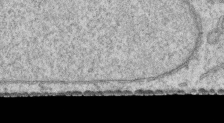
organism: Human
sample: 1205lu cells